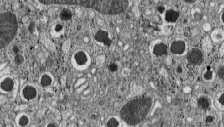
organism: C57BL Mouse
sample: Pancreatic islet